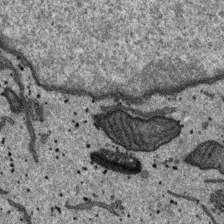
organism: Human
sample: Lung epithelial cells, uninfected (mock) control